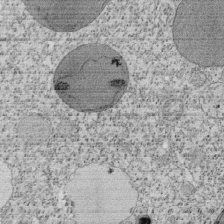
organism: Tetrahymena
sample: Cilia in tetrahymena